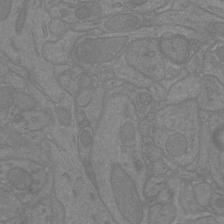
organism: Mouse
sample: Cortical neurons